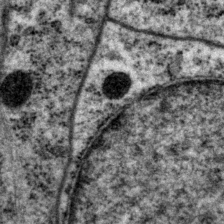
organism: P. pacificus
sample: Pharynx